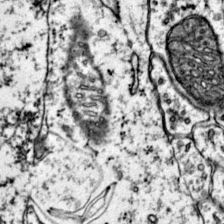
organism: Mouse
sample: Primary visual cortex